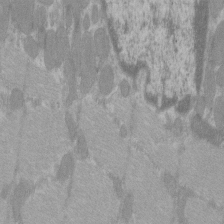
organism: C57BL Mouse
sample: Tibialis anterior muscle cell